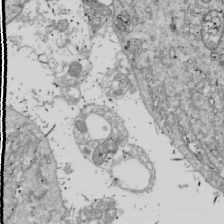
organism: Drosophila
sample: Cell division; meiosis; drosophila spermatocytes